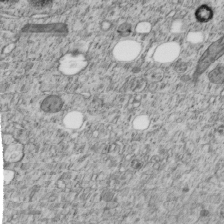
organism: C. elegans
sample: C. elegans embryo early stage